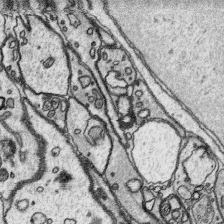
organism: Platynereis dumerilii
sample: Parapodia